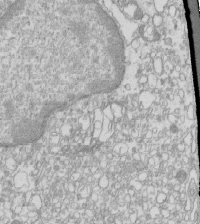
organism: Mouse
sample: Macrophages